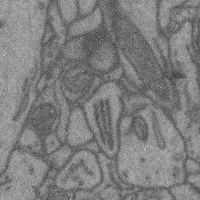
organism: Mouse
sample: Cerebral cortex